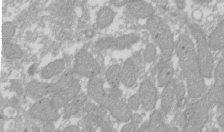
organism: Xenopus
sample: Cilia; centrioles in frog embryo cells